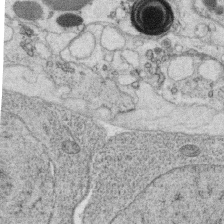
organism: C. elegans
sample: C. elegans oocyte; sperm cells